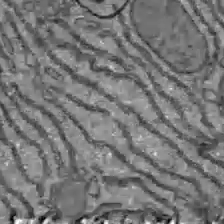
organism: C57BL Mouse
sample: Liver